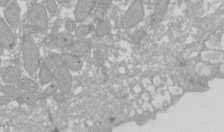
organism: Xenopus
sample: Cilia; centrioles in frog embryo cells